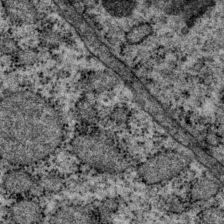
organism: P. pacificus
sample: Pharynx